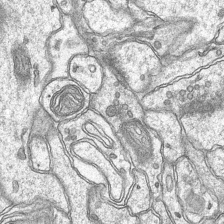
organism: Mouse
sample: CA1 Hippocampus